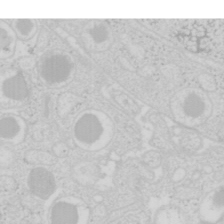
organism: Mouse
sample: Pancreas